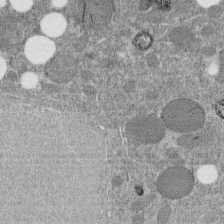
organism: C. elegans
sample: C. elegans embryo early stage